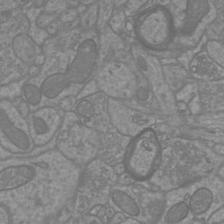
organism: Mouse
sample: Cortical neurons